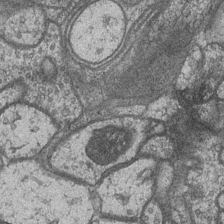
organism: Drosophila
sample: Optic medulla